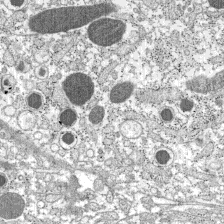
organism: C57BL Mouse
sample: Pancreatic islet